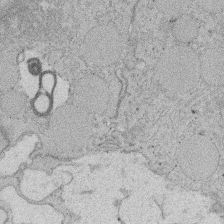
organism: Rat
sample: Salivary granule